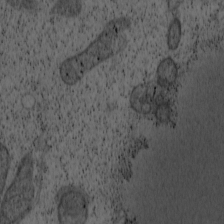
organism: African green monkey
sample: COS-7 cells